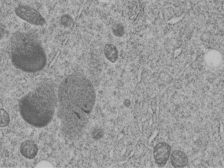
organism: C. elegans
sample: C. elegans embryo early stage